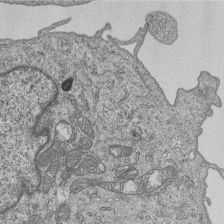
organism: Human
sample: MDA-MB-231 cells